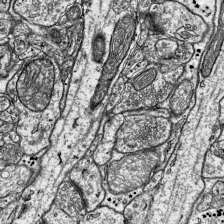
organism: Mouse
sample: Visual Cortex